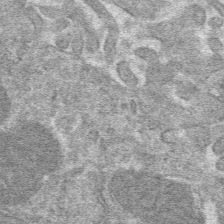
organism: Mouse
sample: Mouse hepatocytes